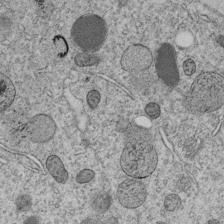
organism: C. elegans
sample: C. elegans embryo early stage